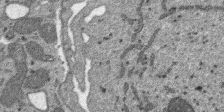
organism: Human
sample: Lung epithelial cells infected with SARS-CoV-2